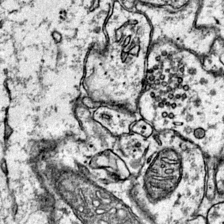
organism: Mouse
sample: Primary visual cortex